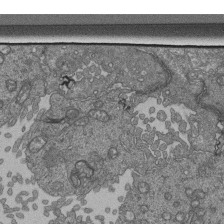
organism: Human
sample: Retinal organoid Rod and Cone cells